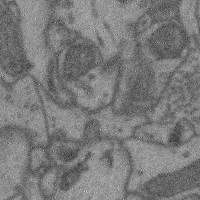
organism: Mouse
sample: Cerebral cortex